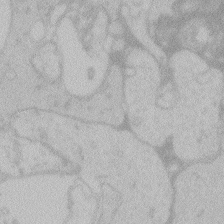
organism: Zebrafish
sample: Macrophage infected with Toxoplasma gondii